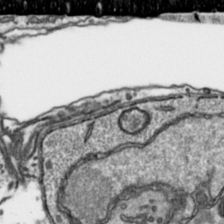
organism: Toxoplasma gondii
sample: Parasites in a vacuole inside a host cell